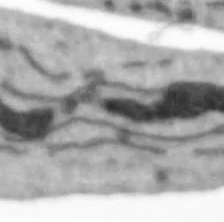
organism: Human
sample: SH-SY5Y cells